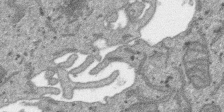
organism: Human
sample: Lung epithelial cells infected with SARS-CoV-2